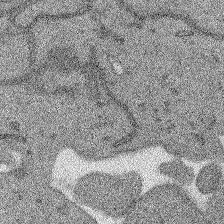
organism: Human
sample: HeLa cells